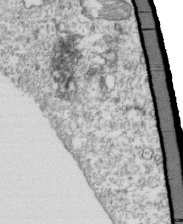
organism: Mouse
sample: Activated OT-1 CD8+ T cells